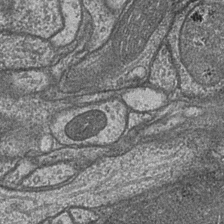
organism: Drosophila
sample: Optic medulla